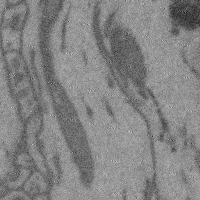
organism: Mouse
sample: Cerebral cortex